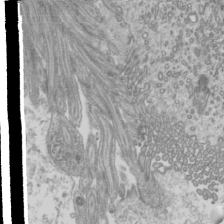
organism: Mouse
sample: Cilia; mouse epididymis